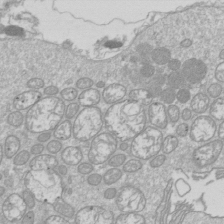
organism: Drosophila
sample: Cell division; meiosis; drosophila spermatocytes